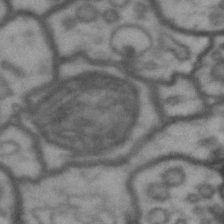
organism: Drosophila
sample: Brain